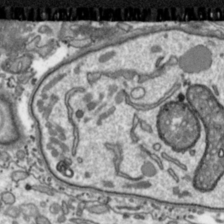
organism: Toxoplasma gondii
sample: Parasites in a vacuole inside a host cell